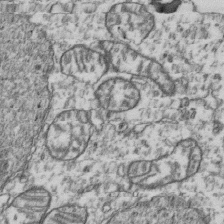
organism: Human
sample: Activated Jurkat CD4+ T cells